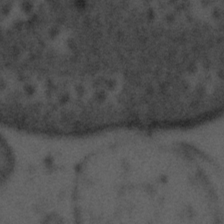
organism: Tuwongella immobilis